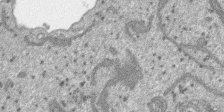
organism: Human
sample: Lung epithelial cells infected with SARS-CoV-2